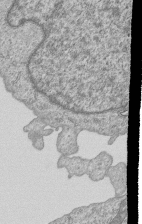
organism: Human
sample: MDA-MB-231 cells